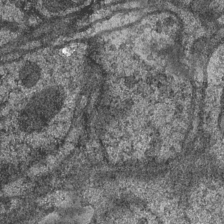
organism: Drosophila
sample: Optic medulla